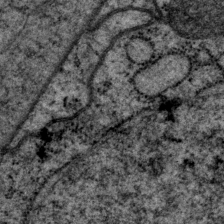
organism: P. pacificus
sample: Pharynx